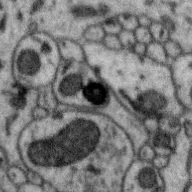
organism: Zebra finch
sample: Brain